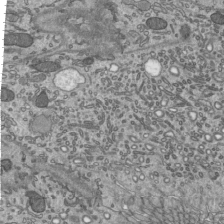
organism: Mouse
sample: Mouse epididymis efferent ductule cilia